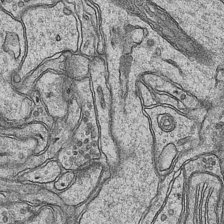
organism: Mouse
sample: CA1 Hippocampus